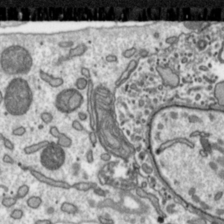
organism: Toxoplasma gondii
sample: Parasites in a vacuole inside a host cell